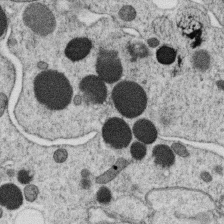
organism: C. elegans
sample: C. elegans oocyte; sperm cells